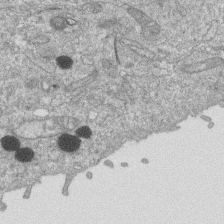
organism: Human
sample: HeLa cell HIV synapse